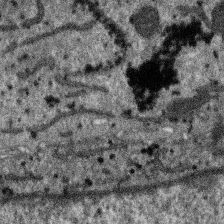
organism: Human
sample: Lung epithelial cells infected with SARS-CoV-2